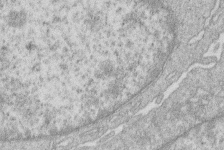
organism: Human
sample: Macrophage cells